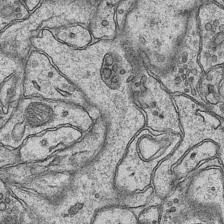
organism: Mouse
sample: CA1 Hippocampus